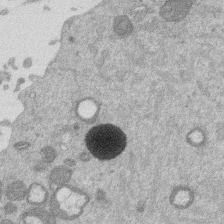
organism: Mouse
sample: Dividing mouse embryo 1 cell stage